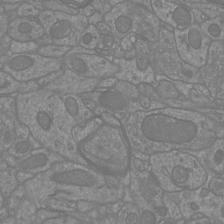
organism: Mouse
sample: Cortical neurons